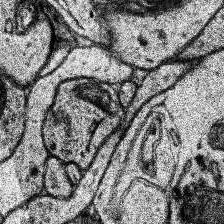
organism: Human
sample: Temporal Lobe